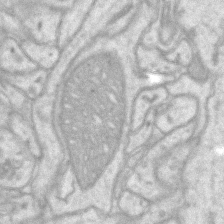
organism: Mouse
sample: CA1 Hippocampus